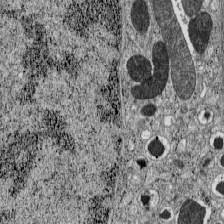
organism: C57BL Mouse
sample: Pancreatic islet